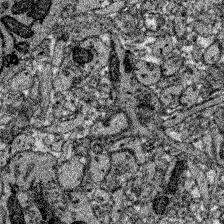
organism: Zebrafish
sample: Larval olfactory bulb